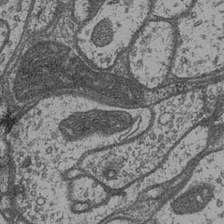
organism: Drosophila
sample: Optic medulla